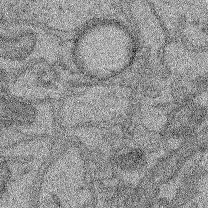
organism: Human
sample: HeLa cells